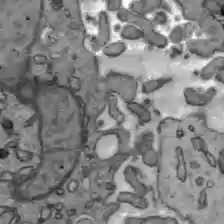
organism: C57BL Mouse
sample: Liver